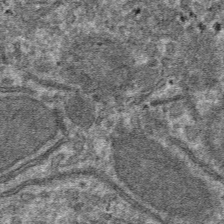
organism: Mouse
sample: Mouse hepatocytes